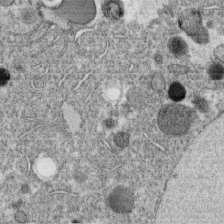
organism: C. elegans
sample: C. elegans oocyte; sperm cells